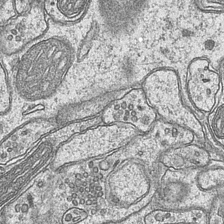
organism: Mouse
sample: CA1 Hippocampus